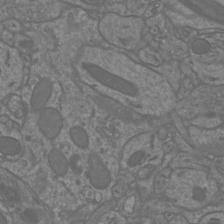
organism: Mouse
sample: Cortical neurons